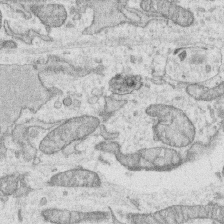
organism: Human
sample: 1205lu cells